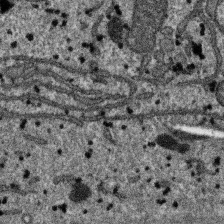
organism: Human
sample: Lung epithelial cells infected with SARS-CoV-2